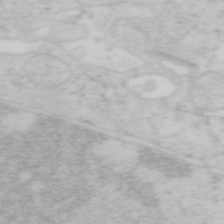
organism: Mouse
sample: OT-I killer T cells with ID8 ovarian cancer cells